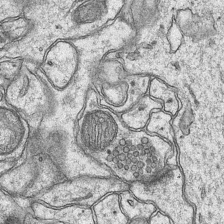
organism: Mouse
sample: CA1 Hippocampus